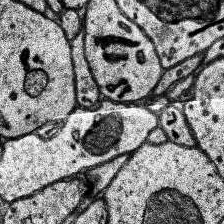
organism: Human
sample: Temporal Lobe